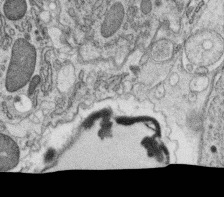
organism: C. elegans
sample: C. elegans oocyte; sperm cells